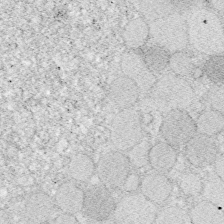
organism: Zebrafish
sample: Whole-Brain